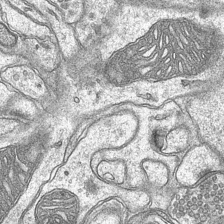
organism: Mouse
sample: CA1 Hippocampus